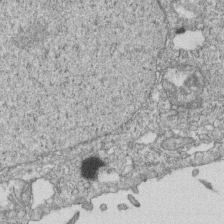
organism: Human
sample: HeLa cell HIV synapse